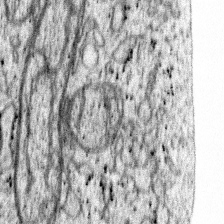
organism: Human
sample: HeLa cells